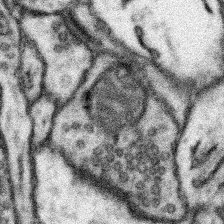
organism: Mouse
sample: Somatosensory cortex neuropil